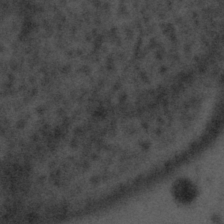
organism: Tuwongella immobilis